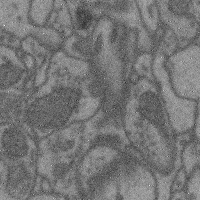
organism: Mouse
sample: Cerebral cortex